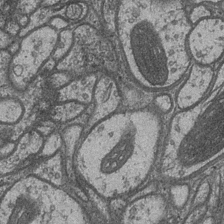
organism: Drosophila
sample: Optic medulla